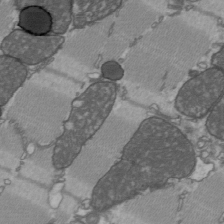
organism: C57BL Mouse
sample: Heart